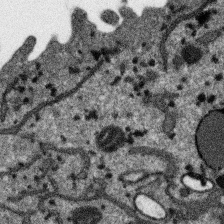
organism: Human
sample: Lung epithelial cells infected with SARS-CoV-2